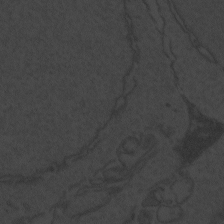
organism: Zebrafish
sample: Macrophage infected with Toxoplasma gondii